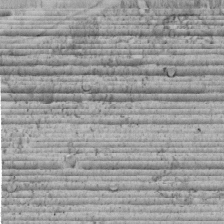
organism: C. elegans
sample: C. elegans embryo early stage